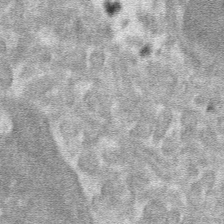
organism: Mouse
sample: Mouse hepatocytes